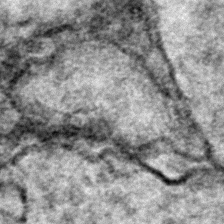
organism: Zebrafish